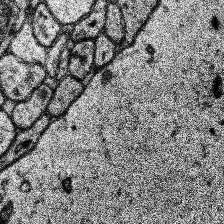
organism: Human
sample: Temporal Lobe